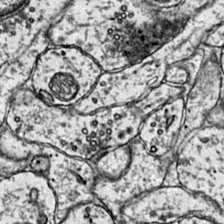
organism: Mouse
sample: Primary visual cortex